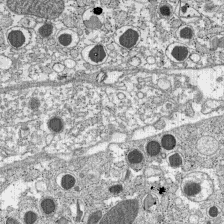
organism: C57BL Mouse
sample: Pancreatic islet